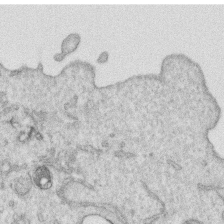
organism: Human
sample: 1205lu cells